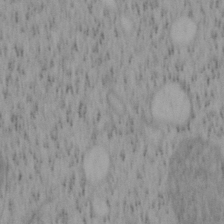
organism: Mouse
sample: OT-I killer T cells with ID8 ovarian cancer cells